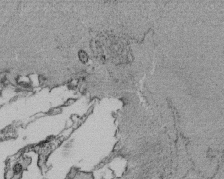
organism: Tetrahymena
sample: Cilia in tetrahymena